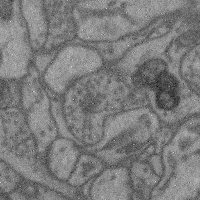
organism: Mouse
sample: Cerebral cortex